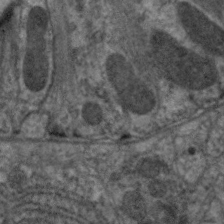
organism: C. elegans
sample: Pharynx